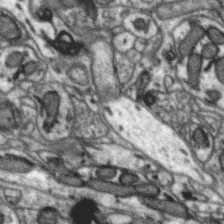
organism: Zebra finch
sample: Brain